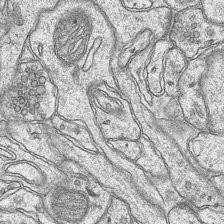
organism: Mouse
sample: CA1 Hippocampus